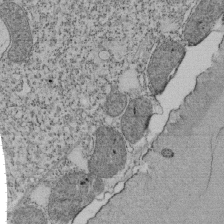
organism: Tetrahymena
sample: Cilia in tetrahymena